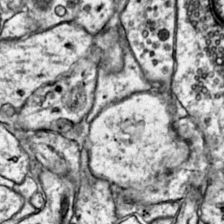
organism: Mouse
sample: Primary visual cortex